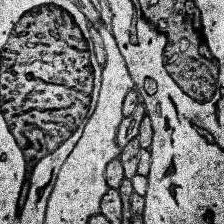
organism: Human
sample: Temporal Lobe